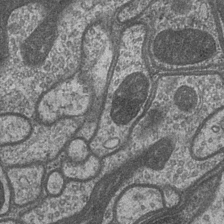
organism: Drosophila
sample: Optic medulla